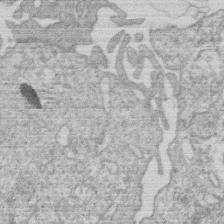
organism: Human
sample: Macrophage cells